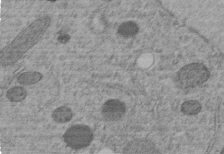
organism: C. elegans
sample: C. elegans embryo early stage